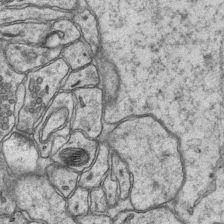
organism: Mouse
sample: CA1 Hippocampus